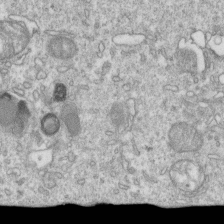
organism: Mouse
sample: Activated OT-1 CD8+ T cells